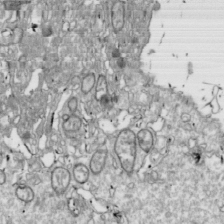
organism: Drosophila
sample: Cell division; meiosis; drosophila spermatocytes